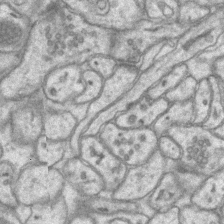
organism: Mouse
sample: CA1 Hippocampus